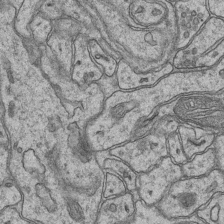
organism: Mouse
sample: CA1 Hippocampus